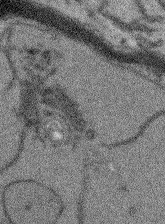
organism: Arabidopsis thaliana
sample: Root tip